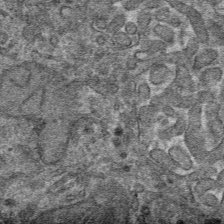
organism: Mouse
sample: Mouse hepatocytes